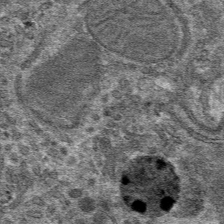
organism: Mouse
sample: Mouse hepatocytes